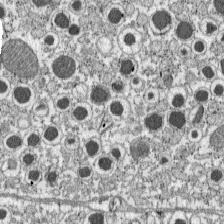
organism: C57BL Mouse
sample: Pancreatic islet